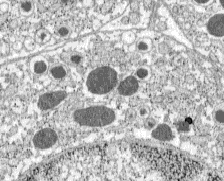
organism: C57BL Mouse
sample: Pancreatic islet